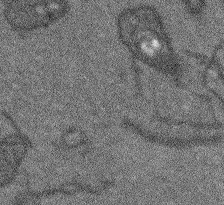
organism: Arabidopsis thaliana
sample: Root tip